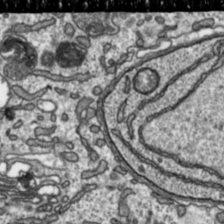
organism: Toxoplasma gondii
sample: Parasites in a vacuole inside a host cell